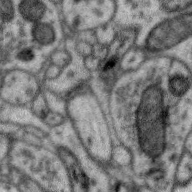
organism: Zebra finch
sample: Brain